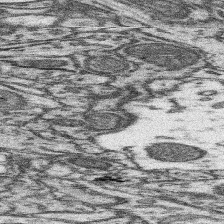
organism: Mouse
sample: Somatosensory cortex neuropil